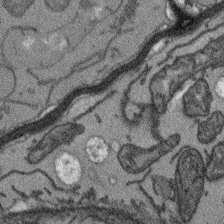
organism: Arabidopsis thaliana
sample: Root tip